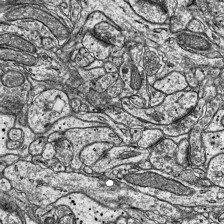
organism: Mouse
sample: Visual Cortex